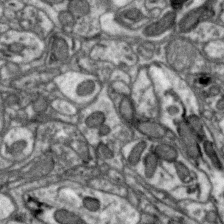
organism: Zebra finch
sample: Brain